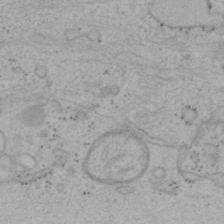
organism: Human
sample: HeLa cells